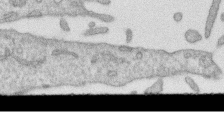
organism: Human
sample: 1205lu cells